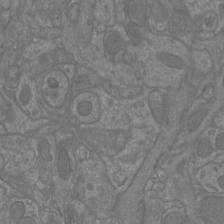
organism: Mouse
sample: Cortical neurons